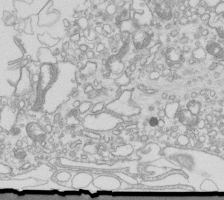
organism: Mouse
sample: Macrophages